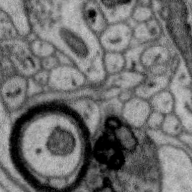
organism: Zebra finch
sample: Brain